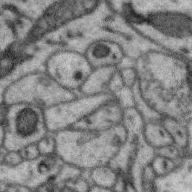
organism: Zebra finch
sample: Brain